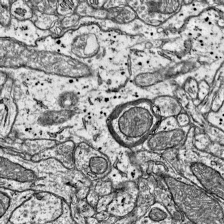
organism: Mouse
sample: Visual Cortex